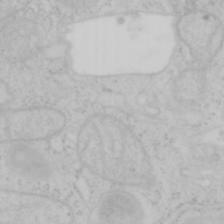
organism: Mouse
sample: OT-I killer T cells with ID8 ovarian cancer cells